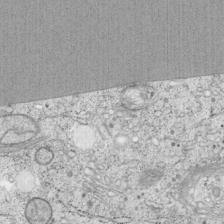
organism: African green monkey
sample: COS-7 cells